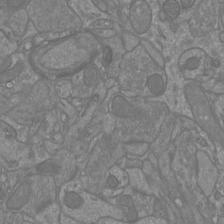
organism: Mouse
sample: Cortical neurons